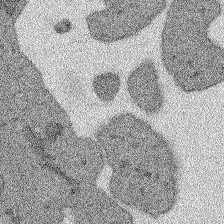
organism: Human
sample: HeLa cells